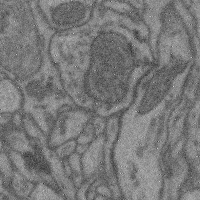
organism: Mouse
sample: Cerebral cortex